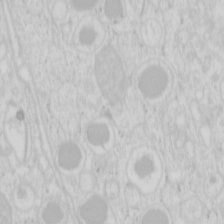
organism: Mouse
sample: Pancreas